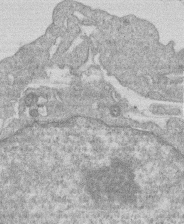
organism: Human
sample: Macrophage cells